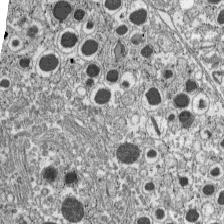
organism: C57BL Mouse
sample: Pancreatic islet